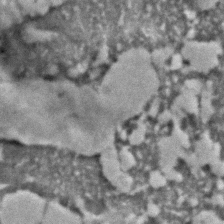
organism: C. elegans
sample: C. elegans embryo